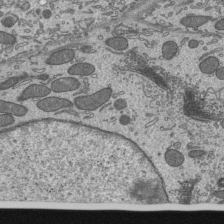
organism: Mouse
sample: Mouse epididymis efferent ductule cilia